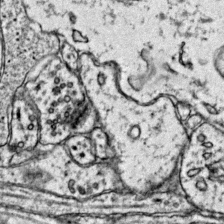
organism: Mouse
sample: Primary visual cortex